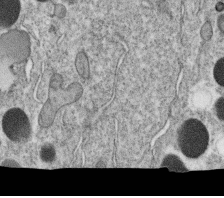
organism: C. elegans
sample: C. elegans oocyte; sperm cells